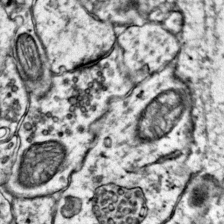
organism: Mouse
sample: Primary visual cortex